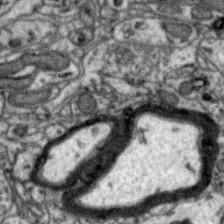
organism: Zebra finch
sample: Brain